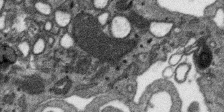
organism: Human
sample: Lung epithelial cells infected with SARS-CoV-2